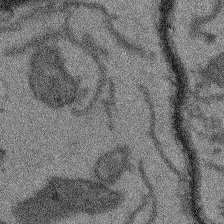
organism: Arabidopsis thaliana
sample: Root tip